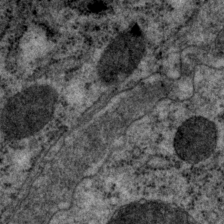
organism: P. pacificus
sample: Pharynx